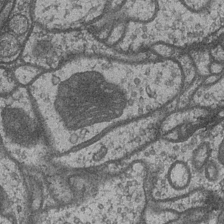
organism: Drosophila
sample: Optic medulla